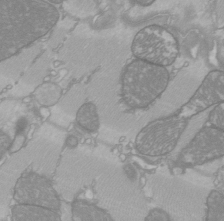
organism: C57BL Mouse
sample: Heart